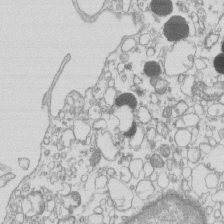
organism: Mouse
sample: Macrophages